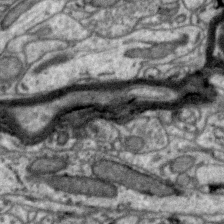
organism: Zebra finch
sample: Brain